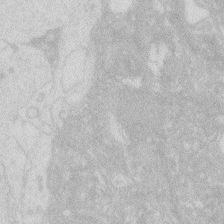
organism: Zebrafish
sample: Macrophage